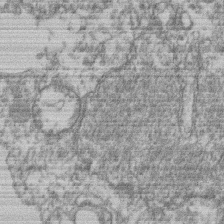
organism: Mouse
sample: T cell stromal cell synapse